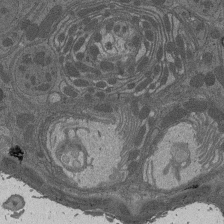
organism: Drosophila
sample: Antenna